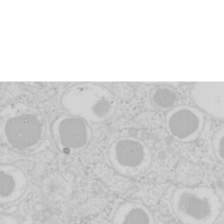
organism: Mouse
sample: Pancreas